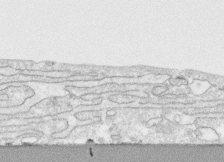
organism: Human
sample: CRL-1474